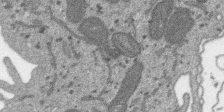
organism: Human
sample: Lung epithelial cells infected with SARS-CoV-2